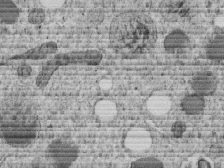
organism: C. elegans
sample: C. elegans embryo early stage